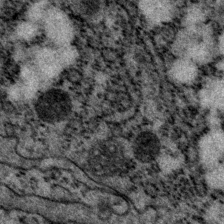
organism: P. pacificus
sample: Pharynx